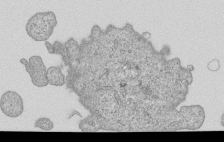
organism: Human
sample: MDA-MB-231 cells